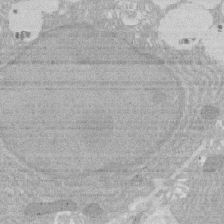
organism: Rat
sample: Salivary granule